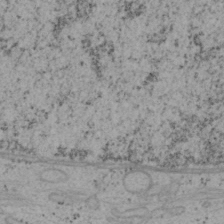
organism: Human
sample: HeLa cells